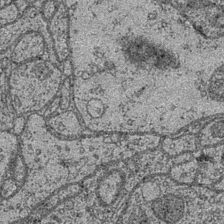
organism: Drosophila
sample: Optic medulla